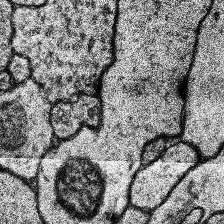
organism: Human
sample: Temporal Lobe